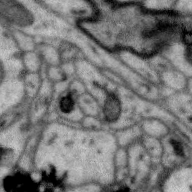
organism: Zebra finch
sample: Brain